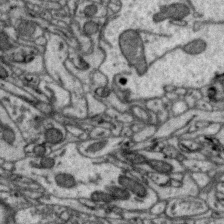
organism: Zebra finch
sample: Brain